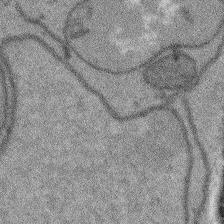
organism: Arabidopsis thaliana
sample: Root tip